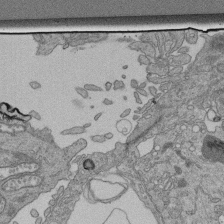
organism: Human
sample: Retinal organoid Rod and Cone cells